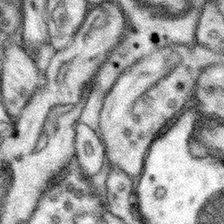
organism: Mouse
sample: Somatosensory cortex neuropil